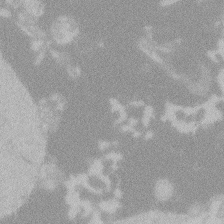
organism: Zebrafish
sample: Macrophage infected with Toxoplasma gondii